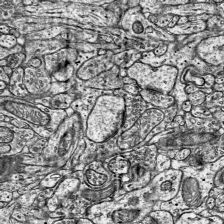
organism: Mouse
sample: Visual Cortex